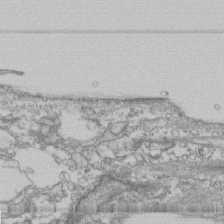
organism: Human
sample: Fibroblast cells